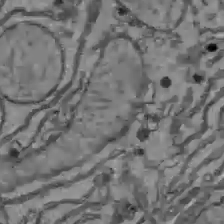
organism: C57BL Mouse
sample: Liver